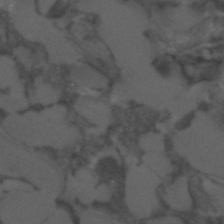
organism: C. elegans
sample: C. elegans embryo